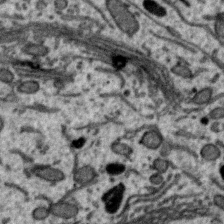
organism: Zebra finch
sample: Brain